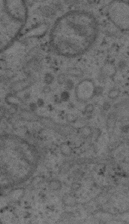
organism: Human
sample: HeLa cells